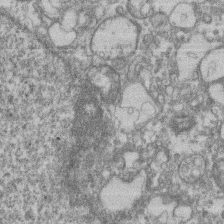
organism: Mouse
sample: T cell stromal cell synapse